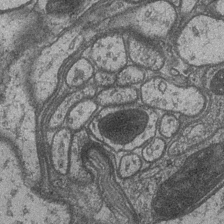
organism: Drosophila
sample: Optic medulla